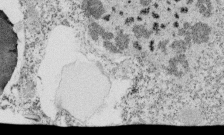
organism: Tetrahymena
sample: Cilia in tetrahymena